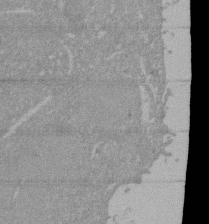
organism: Mouse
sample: ED-1 cell nuclei; centrioles